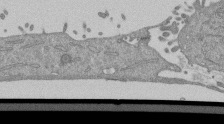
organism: Mouse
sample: ED-1 cell nuclei; centrioles